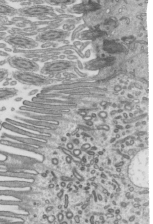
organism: Mouse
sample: Mouse epididymis efferent ductule cilia